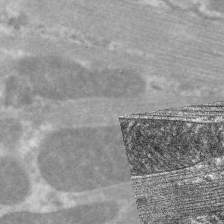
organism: C. elegans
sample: Pharynx